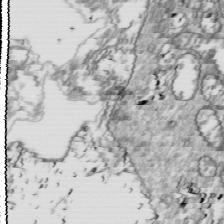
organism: Drosophila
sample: Cell division; meiosis; drosophila spermatocytes